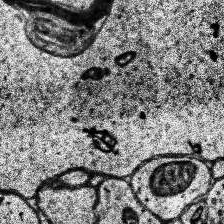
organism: Human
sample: Temporal Lobe